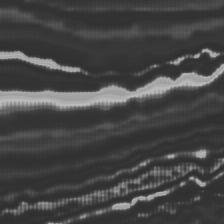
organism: Mouse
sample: Cortical neurons